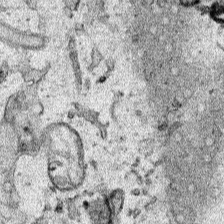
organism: Human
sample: Mitochondria in HCT116 cells